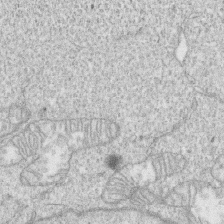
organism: Human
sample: HeLa cell HIV synapse